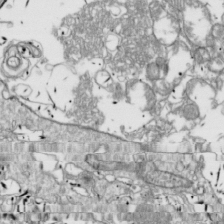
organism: Drosophila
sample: Cell division; meiosis; drosophila spermatocytes